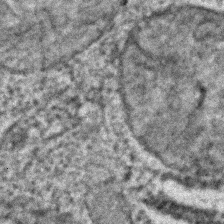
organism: C. elegans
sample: C. elegans embryo